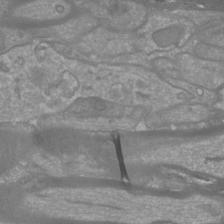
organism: Mouse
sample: Cortical neurons